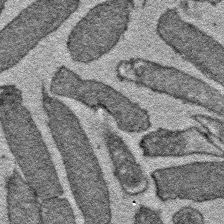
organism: E. coli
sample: E. Coli Bacteria